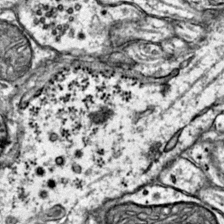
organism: Mouse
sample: Primary visual cortex